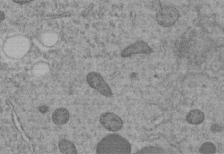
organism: C. elegans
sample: C. elegans embryo early stage